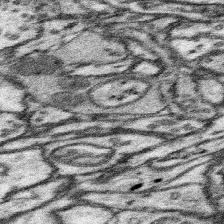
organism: Mouse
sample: Somatosensory cortex neuropil